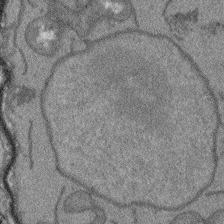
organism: Arabidopsis thaliana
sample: Root tip